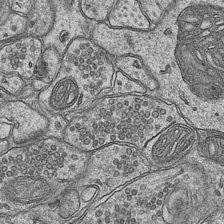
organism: Mouse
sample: CA1 Hippocampus